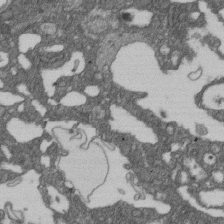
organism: Drosophila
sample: Nephrocyte